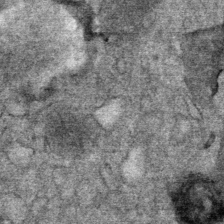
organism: Mouse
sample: Mouse Salivary gland